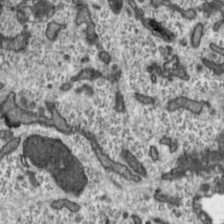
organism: Toxoplasma gondii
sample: Parasites in a vacuole inside a host cell